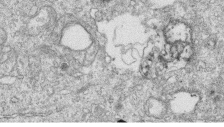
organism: Human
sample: HeLa cell HIV synapse